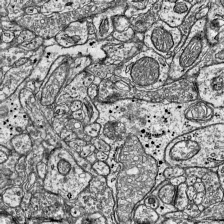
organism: Mouse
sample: Visual Cortex